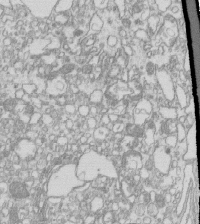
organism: Mouse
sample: Macrophages